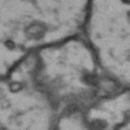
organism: Drosophila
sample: Brain